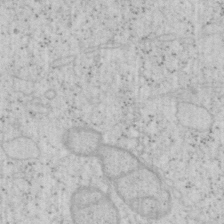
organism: Human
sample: HeLa cells